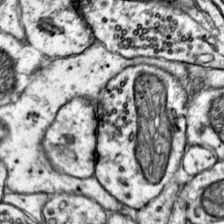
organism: Mouse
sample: Primary visual cortex